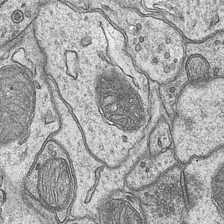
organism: Mouse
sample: CA1 Hippocampus